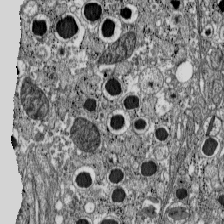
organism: C57BL Mouse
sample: Pancreatic islet